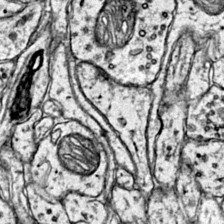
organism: Mouse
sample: Primary visual cortex